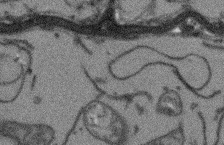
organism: Arabidopsis thaliana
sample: Root tip